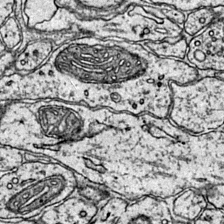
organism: Mouse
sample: Primary visual cortex